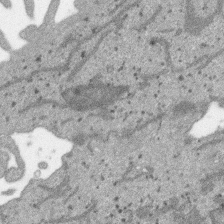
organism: Human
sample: Lung epithelial cells infected with SARS-CoV-2